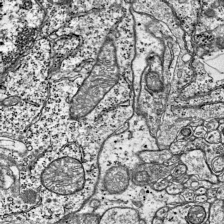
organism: Mouse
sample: Visual Cortex